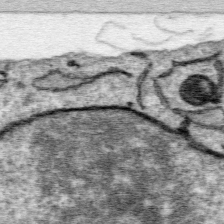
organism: Human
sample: HeLa cells